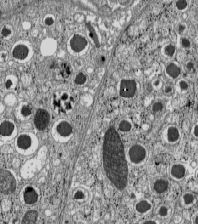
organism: C57BL Mouse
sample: Pancreatic islet